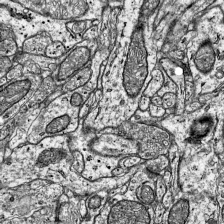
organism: Mouse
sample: Visual Cortex